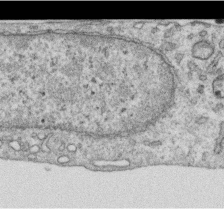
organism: Human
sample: Centriole in RPE cells